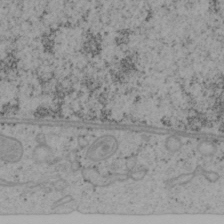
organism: Human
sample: HeLa cells